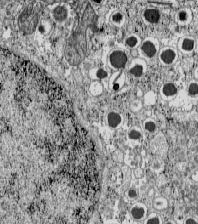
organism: C57BL Mouse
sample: Pancreatic islet